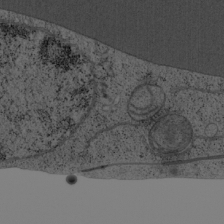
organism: African green monkey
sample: COS-7 cells